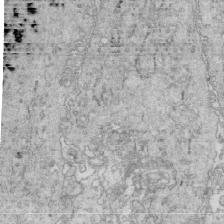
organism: Mouse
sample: Multiciliated cells